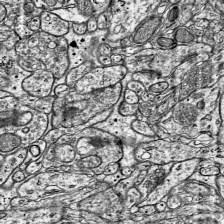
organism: Mouse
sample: Visual Cortex